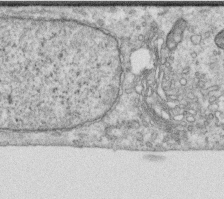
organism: Human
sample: Centriole in RPE cells